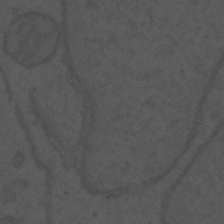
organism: Mouse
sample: Suprachiasmatic nucleus